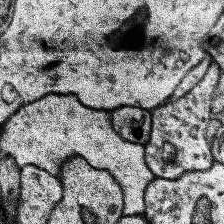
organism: Human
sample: Temporal Lobe